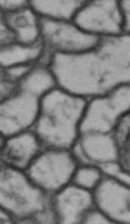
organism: Drosophila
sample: Brain